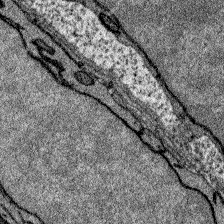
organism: Zebrafish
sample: Larval olfactory bulb